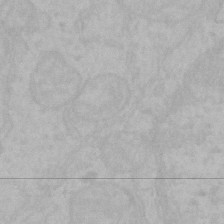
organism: Mouse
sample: Choroid plexus